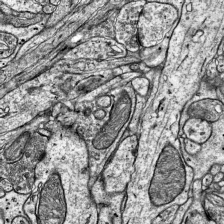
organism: Mouse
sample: Visual Cortex